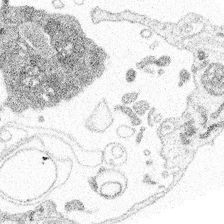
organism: Spongilla lacustris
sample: Multiple